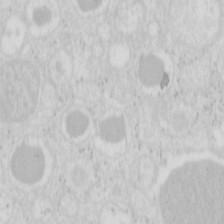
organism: Mouse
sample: Pancreas